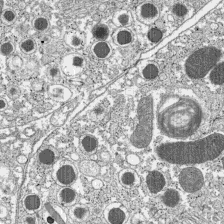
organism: C57BL Mouse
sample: Pancreatic islet